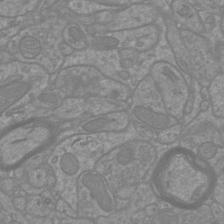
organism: Mouse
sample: Cortical neurons